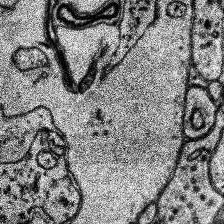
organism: Human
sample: Temporal Lobe